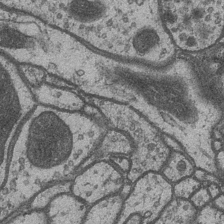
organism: Drosophila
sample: Optic medulla